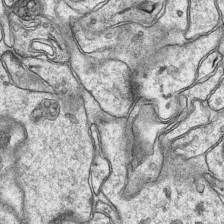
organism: Mouse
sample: CA1 Hippocampus